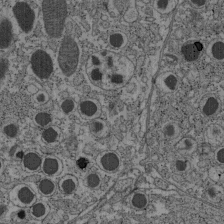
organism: C57BL Mouse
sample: Pancreatic islet